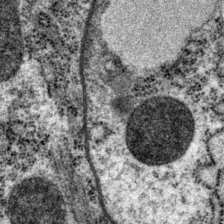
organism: P. pacificus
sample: Pharynx